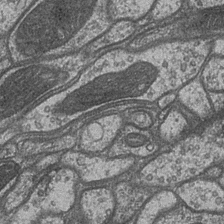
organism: Drosophila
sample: Optic medulla